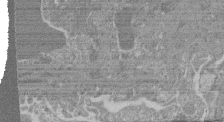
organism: Mouse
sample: Glomerulus